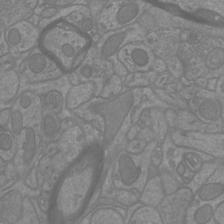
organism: Mouse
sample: Cortical neurons